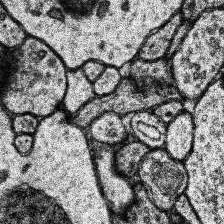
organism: Human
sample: Temporal Lobe